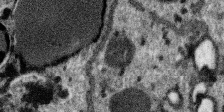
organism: Human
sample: Lung epithelial cells infected with SARS-CoV-2